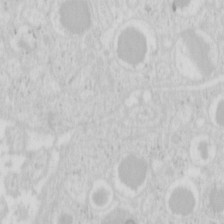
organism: Mouse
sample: Pancreas